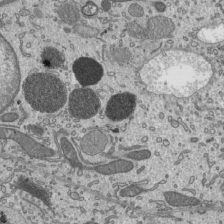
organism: Mouse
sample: Mouse epididymis efferent ductule cilia